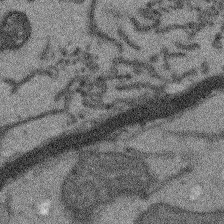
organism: Arabidopsis thaliana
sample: Root tip